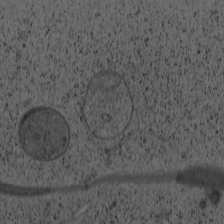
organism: African green monkey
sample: COS-7 cells